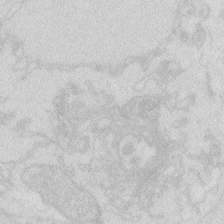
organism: Zebrafish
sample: Macrophage